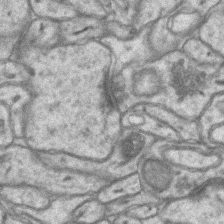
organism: Mouse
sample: CA1 Hippocampus